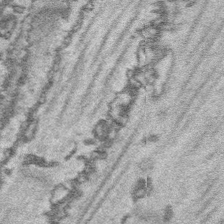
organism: Platynereis dumerilii